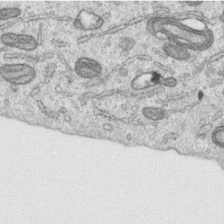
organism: Human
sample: Centriole in RPE cells